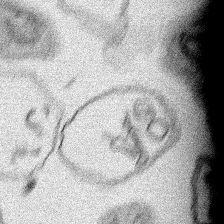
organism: Human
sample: Mitochondria in HCT116 cells